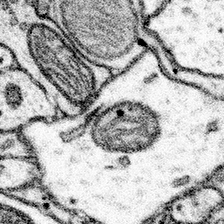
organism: Mouse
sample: Somatosensory cortex neuropil